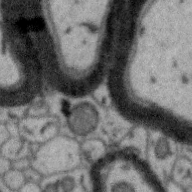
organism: Zebra finch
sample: Brain